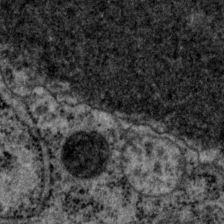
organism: P. pacificus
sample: Pharynx